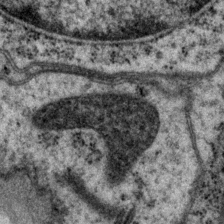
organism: P. pacificus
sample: Pharynx